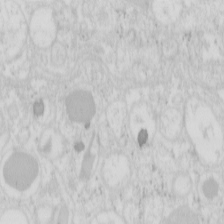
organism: Mouse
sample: Pancreas